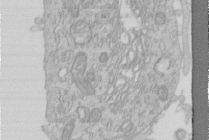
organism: Human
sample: Centriole in RPE cells